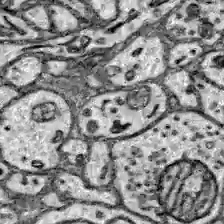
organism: Zebrafish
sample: Brain